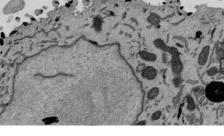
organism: Mouse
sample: ED-1 cell nuclei; centrioles